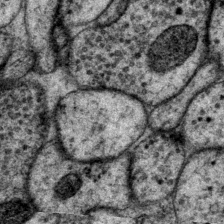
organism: P. pacificus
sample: Pharynx